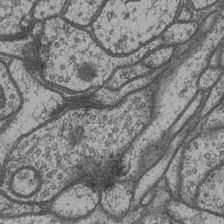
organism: Drosophila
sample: Optic medulla